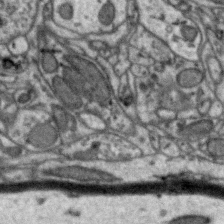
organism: Zebra finch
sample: Brain